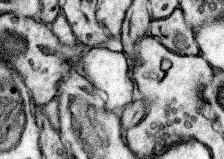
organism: Mouse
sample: Somatosensory cortex neuropil